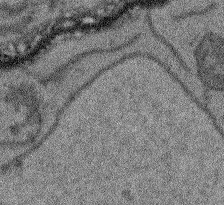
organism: Arabidopsis thaliana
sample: Root tip